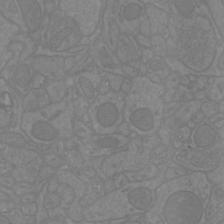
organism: Mouse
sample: Cortical neurons